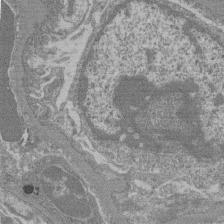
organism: Mouse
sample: Glomerulus